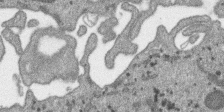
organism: Human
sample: Lung epithelial cells infected with SARS-CoV-2